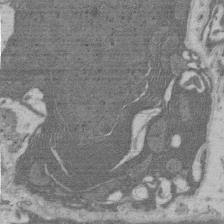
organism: Rat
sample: Salivary granule